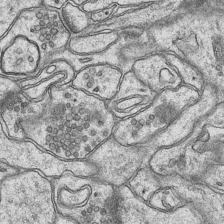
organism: Mouse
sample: CA1 Hippocampus